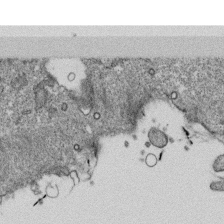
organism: African green monkey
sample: Vero E6 cells infected with SARS-CoV-2